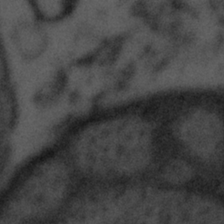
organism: Tuwongella immobilis